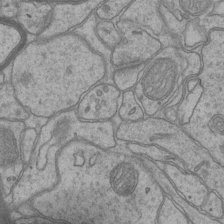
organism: Mouse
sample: CA1 Hippocampus